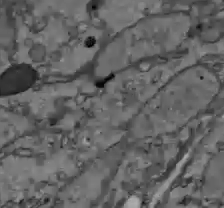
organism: C57BL Mouse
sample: Liver